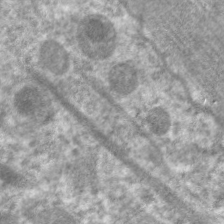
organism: C. elegans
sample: Pharynx